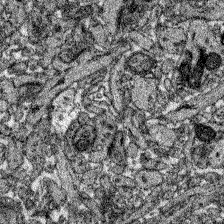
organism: Zebrafish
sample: Larval olfactory bulb